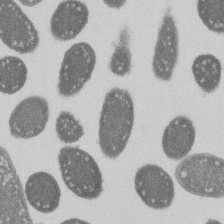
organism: E. coli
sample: Bacterial nucleoid